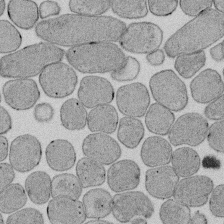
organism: E. coli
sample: Bacterial nucleoid